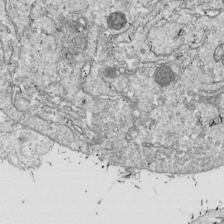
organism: Drosophila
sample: Cell division; meiosis; drosophila spermatocytes